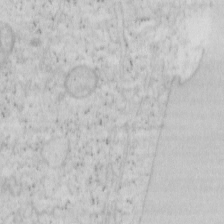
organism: Human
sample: HeLa cells